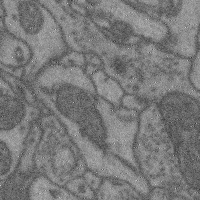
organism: Mouse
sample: Cerebral cortex